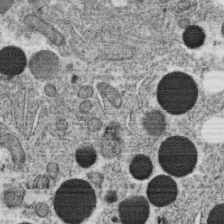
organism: C. elegans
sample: C. elegans oocyte; sperm cells